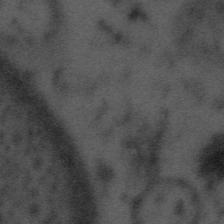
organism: Tuwongella immobilis